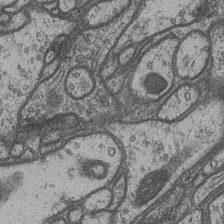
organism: Drosophila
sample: Optic medulla